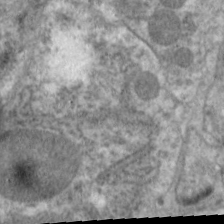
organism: C. elegans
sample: Pharynx